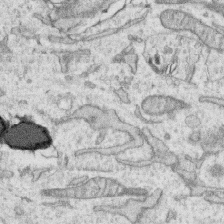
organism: Human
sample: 1205lu cells